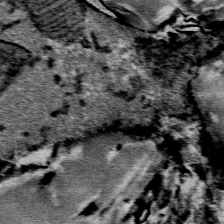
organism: Mouse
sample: Mouse Salivary gland